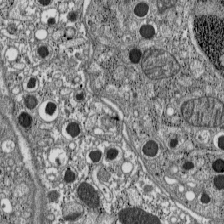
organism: C57BL Mouse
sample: Pancreatic islet